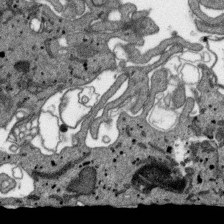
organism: Human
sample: Lung epithelial cells, uninfected (mock) control